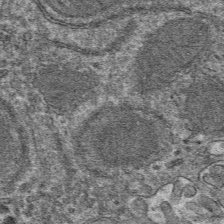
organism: Mouse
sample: Mouse hepatocytes